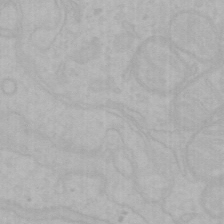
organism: Mouse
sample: Choroid plexus